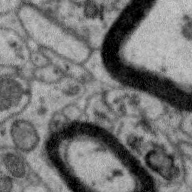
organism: Zebra finch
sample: Brain